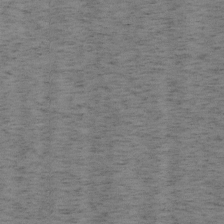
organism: Mouse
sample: OT-I killer T cells with ID8 ovarian cancer cells